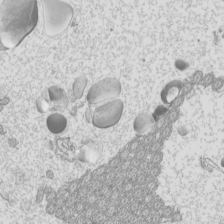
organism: Mouse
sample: Cilia; mouse epididymis